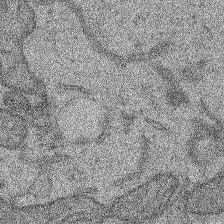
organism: Human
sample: HeLa cells